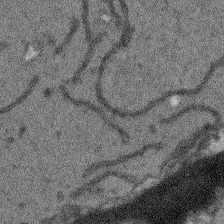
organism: Arabidopsis thaliana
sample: Root tip